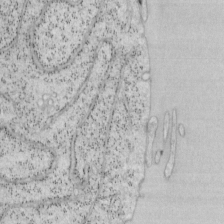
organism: Mouse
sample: OT-I killer T cells with ID8 ovarian cancer cells